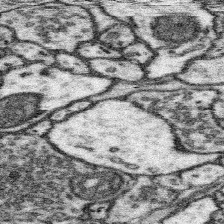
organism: Mouse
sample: Somatosensory cortex neuropil